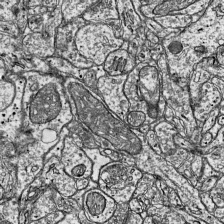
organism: Mouse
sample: Visual Cortex